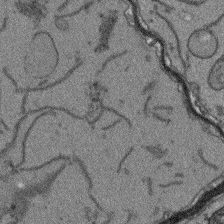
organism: Arabidopsis thaliana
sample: Root tip